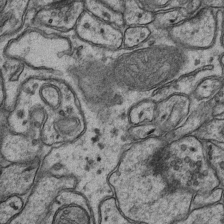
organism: Mouse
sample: CA1 Hippocampus